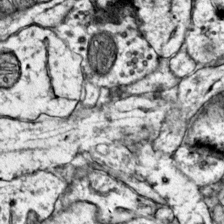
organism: Mouse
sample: Primary visual cortex